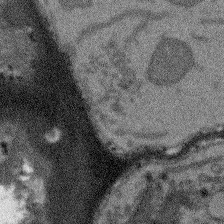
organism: Arabidopsis thaliana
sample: Root tip